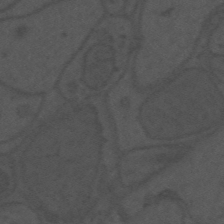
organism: Mouse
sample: Suprachiasmatic nucleus